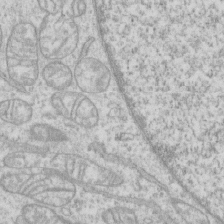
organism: Human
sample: CRL-1474